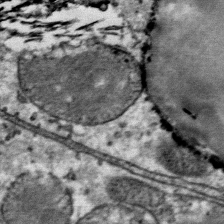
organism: Mouse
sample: Mouse Salivary gland